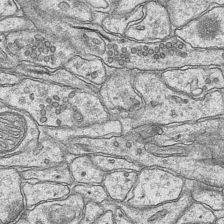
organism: Mouse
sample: CA1 Hippocampus